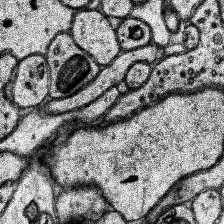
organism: Human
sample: Temporal Lobe